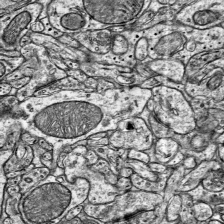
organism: Mouse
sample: Visual Cortex